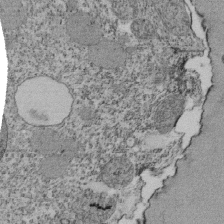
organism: Tetrahymena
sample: Cilia in tetrahymena